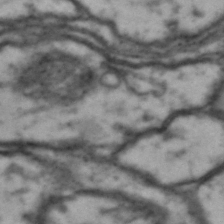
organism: Drosophila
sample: Brain